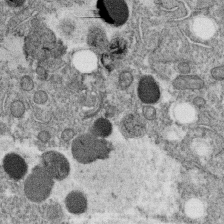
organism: C. elegans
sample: C. elegans oocyte; sperm cells